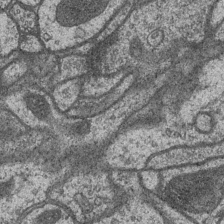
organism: Drosophila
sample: Optic medulla